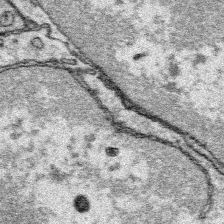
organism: Platynereis dumerilii